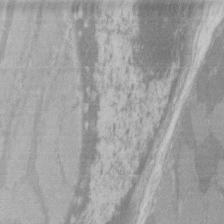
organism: C57BL Mouse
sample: Tibialis anterior muscle cell